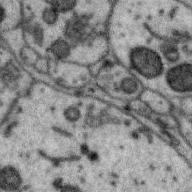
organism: Zebra finch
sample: Brain